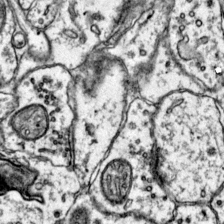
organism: Mouse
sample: Primary visual cortex